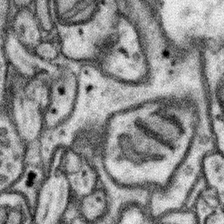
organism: Mouse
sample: Somatosensory cortex neuropil